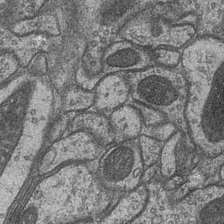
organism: Drosophila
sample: Optic medulla